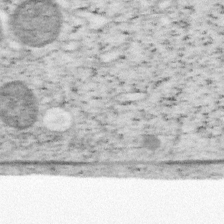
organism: Mouse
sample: OT-I killer T cells with ID8 ovarian cancer cells